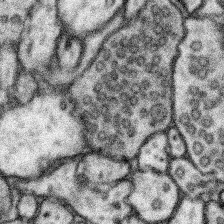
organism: Mouse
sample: Somatosensory cortex neuropil